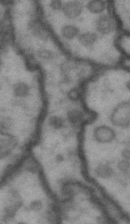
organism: Drosophila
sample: Brain